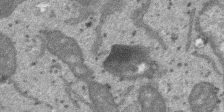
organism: Human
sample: Lung epithelial cells infected with SARS-CoV-2